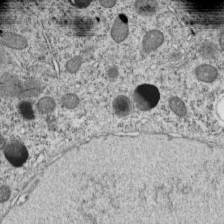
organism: C. elegans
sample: C. elegans embryo early stage